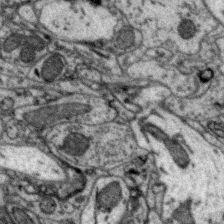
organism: Zebra finch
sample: Brain